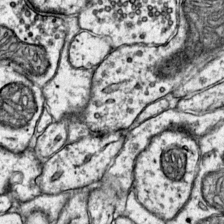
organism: Mouse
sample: Primary visual cortex